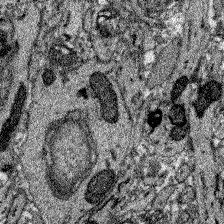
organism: Zebrafish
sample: Larval olfactory bulb